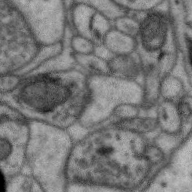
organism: Zebra finch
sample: Brain